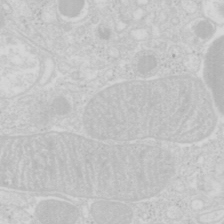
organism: Mouse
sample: Pancreas